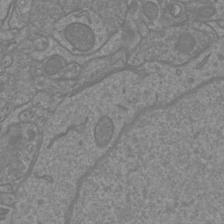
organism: Mouse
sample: Cortical neurons